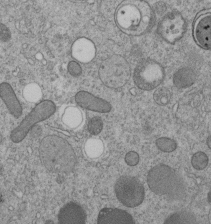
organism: C. elegans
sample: C. elegans embryo early stage